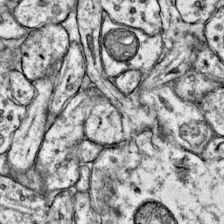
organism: Mouse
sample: Primary visual cortex